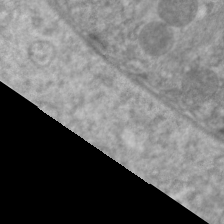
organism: C. elegans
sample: Pharynx